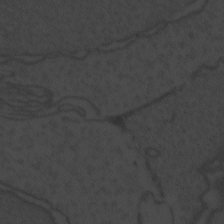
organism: Zebrafish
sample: Macrophage infected with Toxoplasma gondii